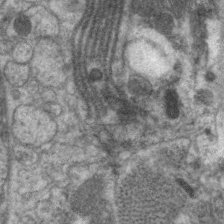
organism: C. elegans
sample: Pharynx